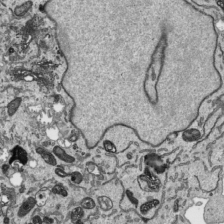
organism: Human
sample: Mitochondria in HCT116 cells